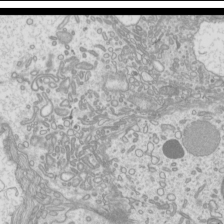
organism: Mouse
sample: Cilia; mouse epididymis